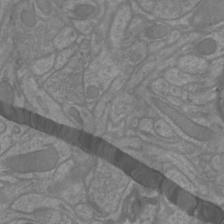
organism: Mouse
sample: Cortical neurons